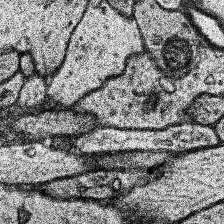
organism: Human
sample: Temporal Lobe